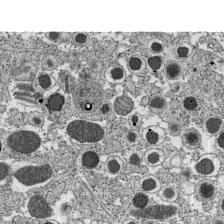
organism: C57BL Mouse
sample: Pancreatic islet